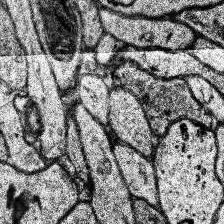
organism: Human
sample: Temporal Lobe